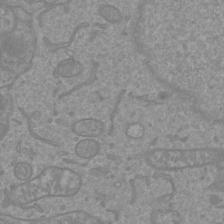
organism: Mouse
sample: Cortical neurons